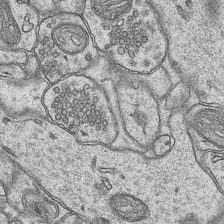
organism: Mouse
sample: CA1 Hippocampus